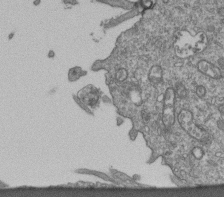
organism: Human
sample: Retinal organoid Rod and Cone cells